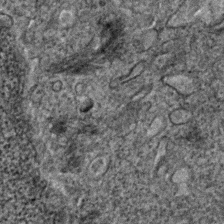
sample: Trachea